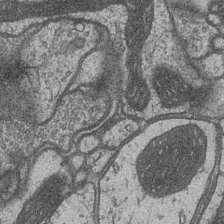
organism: Drosophila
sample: Optic medulla